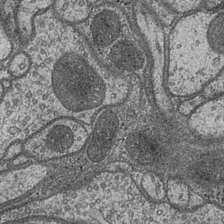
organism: Drosophila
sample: Optic medulla